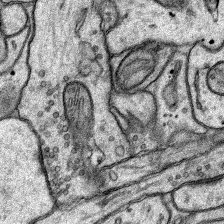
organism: Rat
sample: Hippocampus